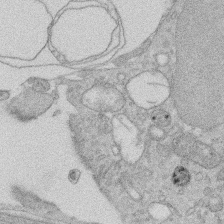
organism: Rat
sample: Salivary granule